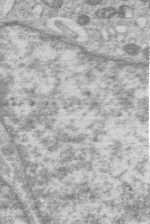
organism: Human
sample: Macrophage cells